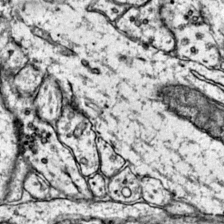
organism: Mouse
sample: Primary visual cortex